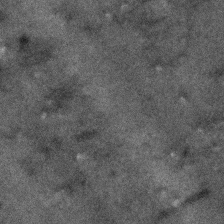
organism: Human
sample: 1205lu cells